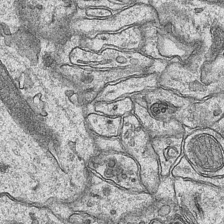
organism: Mouse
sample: CA1 Hippocampus